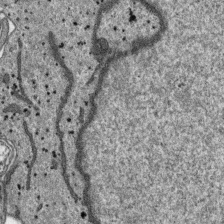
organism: Human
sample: Lung epithelial cells, uninfected (mock) control